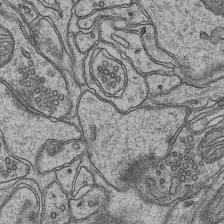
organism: Mouse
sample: CA1 Hippocampus